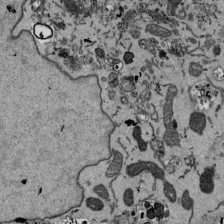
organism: Mouse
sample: ED-1 cell nuclei; centrioles